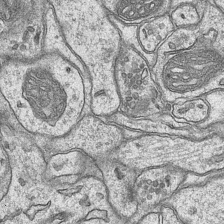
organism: Mouse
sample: CA1 Hippocampus